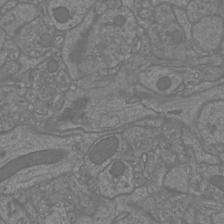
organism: Mouse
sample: Cortical neurons